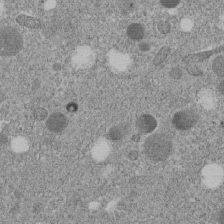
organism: C. elegans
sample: C. elegans embryo early stage